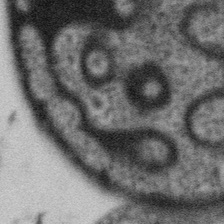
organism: Gemmata obscuriglobus